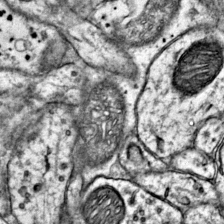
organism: Mouse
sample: Primary visual cortex